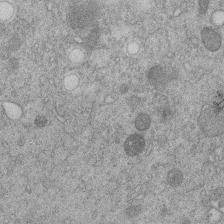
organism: C. elegans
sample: C. elegans embryo early stage